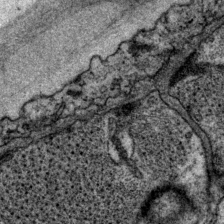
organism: P. pacificus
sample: Pharynx